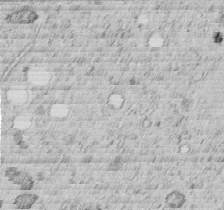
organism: C. elegans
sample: C. elegans embryo early stage